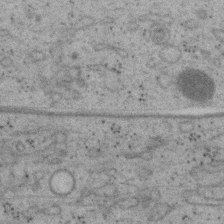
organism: Human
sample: HeLa cells